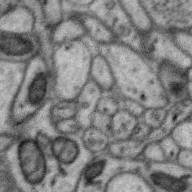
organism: Zebra finch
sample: Brain